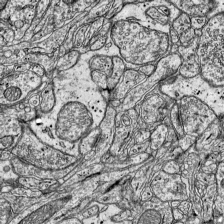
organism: Mouse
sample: Visual Cortex